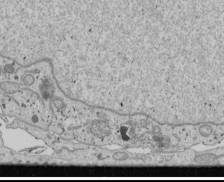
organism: Human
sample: Mitochondria in U2OS cells